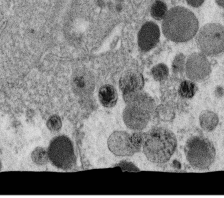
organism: C. elegans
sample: C. elegans oocyte; sperm cells